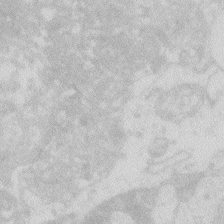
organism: Zebrafish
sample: Macrophage